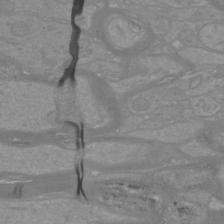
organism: Mouse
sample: Cortical neurons